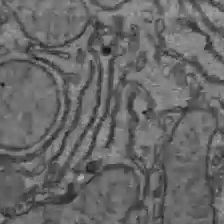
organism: C57BL Mouse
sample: Liver